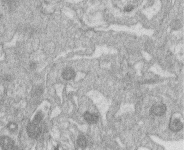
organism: Human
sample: Macrophage cells